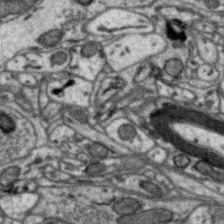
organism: Zebra finch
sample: Brain